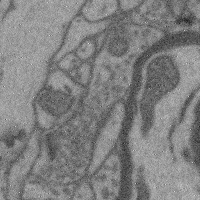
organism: Mouse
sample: Cerebral cortex